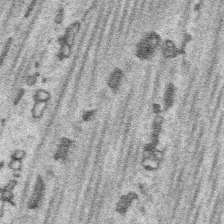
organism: Platynereis dumerilii